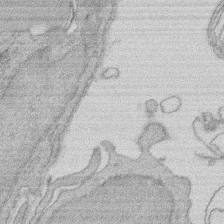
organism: Rat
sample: Salivary granule